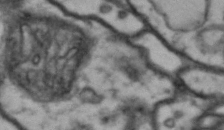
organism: Drosophila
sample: Brain